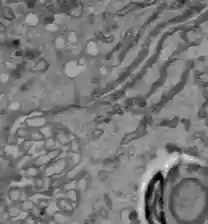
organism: C57BL Mouse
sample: Liver